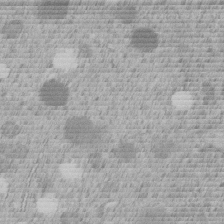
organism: C. elegans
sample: C. elegans embryo early stage